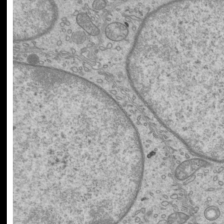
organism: Mouse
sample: Cilia; mouse epididymis